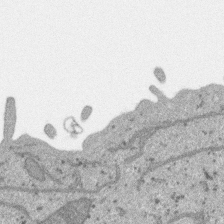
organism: Human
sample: Lung epithelial cells infected with SARS-CoV-2